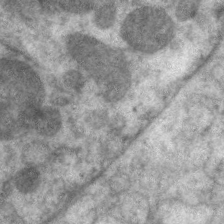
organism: C. elegans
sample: Pharynx